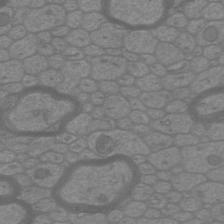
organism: Mouse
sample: Cortical neurons